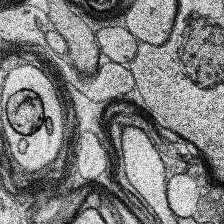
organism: Human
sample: Temporal Lobe